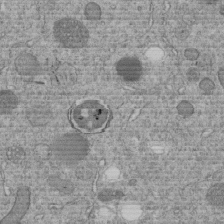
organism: C. elegans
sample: C. elegans embryo early stage